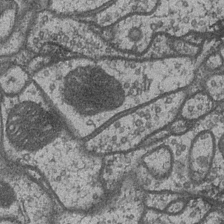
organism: Drosophila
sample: Optic medulla